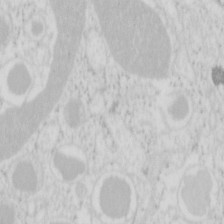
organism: Mouse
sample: Pancreas